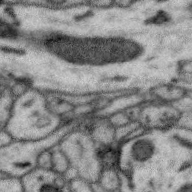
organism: Zebra finch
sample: Brain